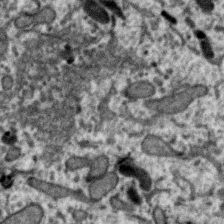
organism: Zebra finch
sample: Brain